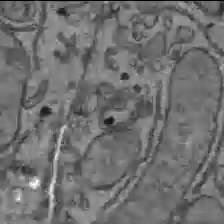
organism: C57BL Mouse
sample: Liver